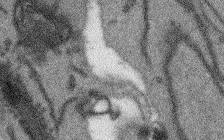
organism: Arabidopsis thaliana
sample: Root tip